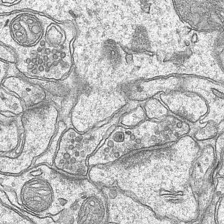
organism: Mouse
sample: CA1 Hippocampus